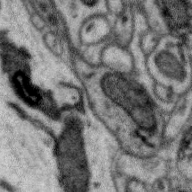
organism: Zebra finch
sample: Brain